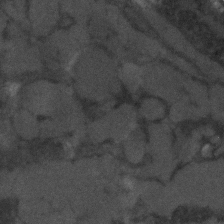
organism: C. elegans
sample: C. elegans embryo